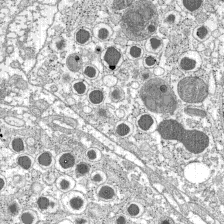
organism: C57BL Mouse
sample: Pancreatic islet